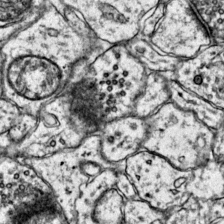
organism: Mouse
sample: Primary visual cortex